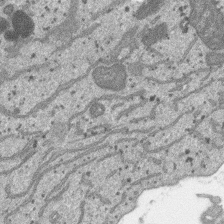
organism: Human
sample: Lung epithelial cells infected with SARS-CoV-2